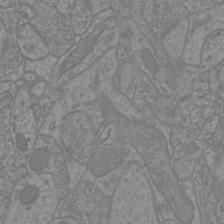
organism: Mouse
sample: Cortical neurons